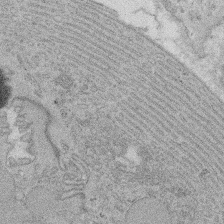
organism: Rat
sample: Salivary granule